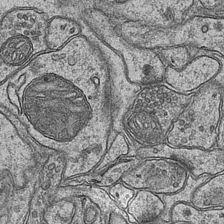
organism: Mouse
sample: CA1 Hippocampus